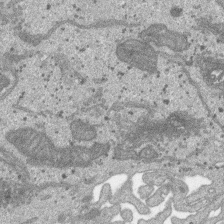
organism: Human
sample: Lung epithelial cells infected with SARS-CoV-2